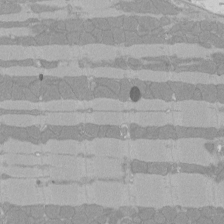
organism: Rat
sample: Left ventricle